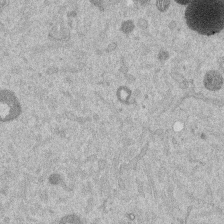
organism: Mouse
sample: Dividing mouse embryo 1 cell stage